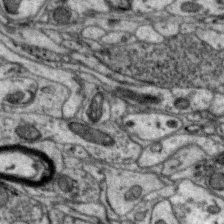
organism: Zebra finch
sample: Brain